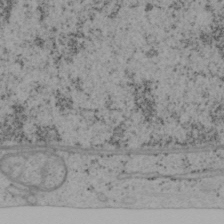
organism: Human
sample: HeLa cells